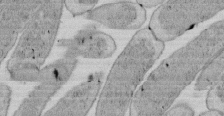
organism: E. coli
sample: Bacterial nucleoid